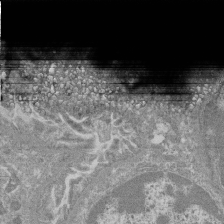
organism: Mouse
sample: Glomerulus